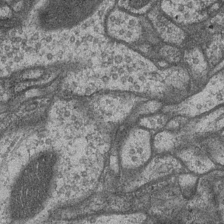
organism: Drosophila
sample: Optic medulla